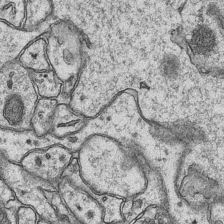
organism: Mouse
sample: CA1 Hippocampus